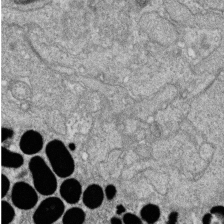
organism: Zebrafish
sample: Cilia; retinal pigment epithelium